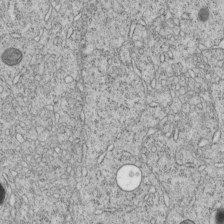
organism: C. elegans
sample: C. elegans embryo early stage